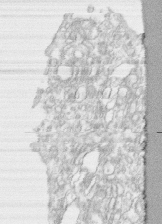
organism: Human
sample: CRL-1474